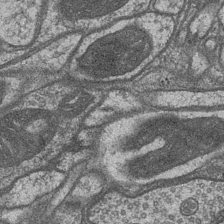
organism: Drosophila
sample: Optic medulla